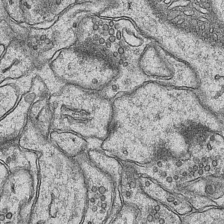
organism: Mouse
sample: CA1 Hippocampus